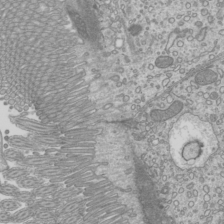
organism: Mouse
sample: Cilia; mouse epididymis